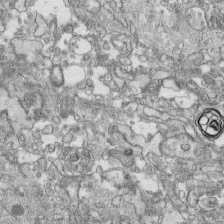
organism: Human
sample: CRL-1474